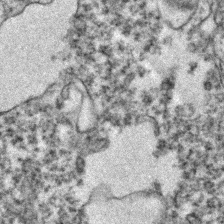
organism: Zebrafish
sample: Zebrafish embryo